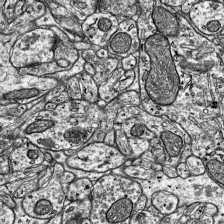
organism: Mouse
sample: Visual Cortex